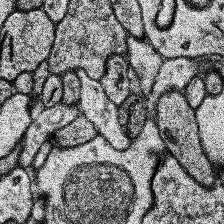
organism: Human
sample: Temporal Lobe